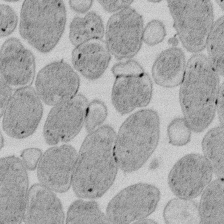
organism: E. coli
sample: Bacterial nucleoid